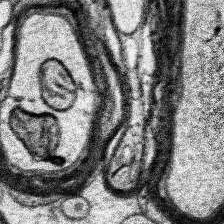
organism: Human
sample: Temporal Lobe